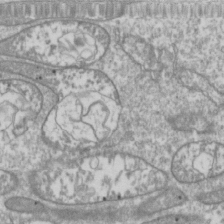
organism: Drosophila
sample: Cell division; meiosis; drosophila spermatocytes